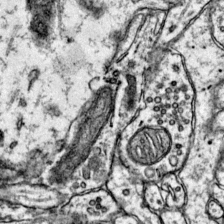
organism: Mouse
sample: Primary visual cortex